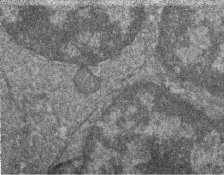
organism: Zebrafish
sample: Cilia; retinal pigment epithelium